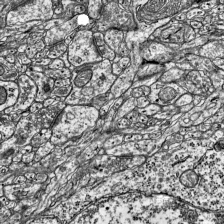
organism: Mouse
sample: Visual Cortex